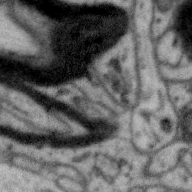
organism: Zebra finch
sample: Brain